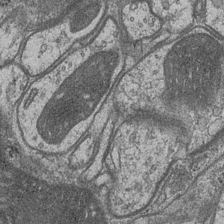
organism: Drosophila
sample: Optic medulla